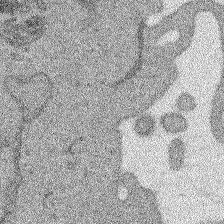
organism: Human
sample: HeLa cells